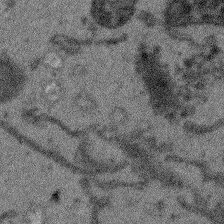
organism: Arabidopsis thaliana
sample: Root tip